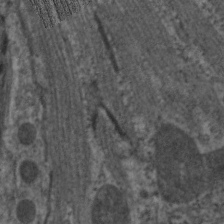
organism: C. elegans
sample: Pharynx